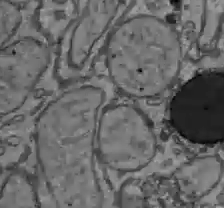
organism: C57BL Mouse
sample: Liver